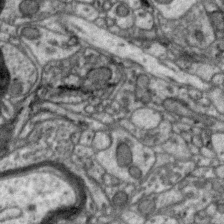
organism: Zebra finch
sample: Brain